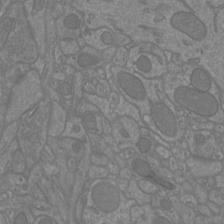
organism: Mouse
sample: Cortical neurons